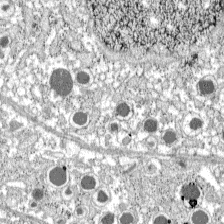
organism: C57BL Mouse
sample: Pancreatic islet